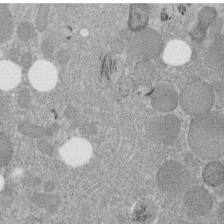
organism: C. elegans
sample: C. elegans embryo early stage